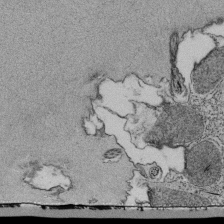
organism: Tetrahymena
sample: Cilia in tetrahymena